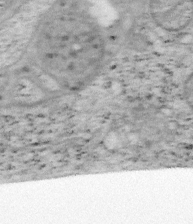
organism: Mouse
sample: OT-I killer T cells with ID8 ovarian cancer cells